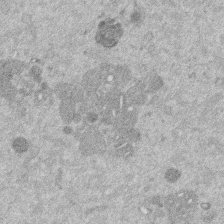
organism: Mouse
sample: Dividing mouse embryo 1 cell stage